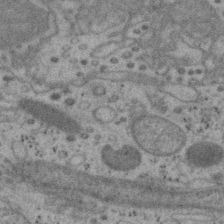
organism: Human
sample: HeLa cells